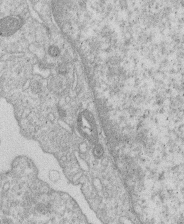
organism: Human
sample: Macrophage cells